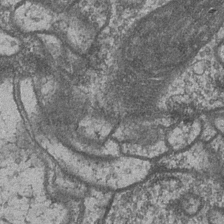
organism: Drosophila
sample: Optic medulla